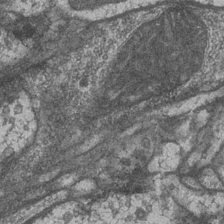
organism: Drosophila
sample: Optic medulla